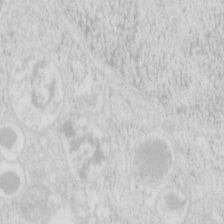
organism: Mouse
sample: Pancreas